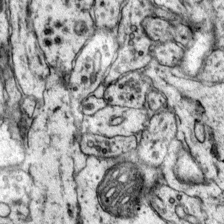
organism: Mouse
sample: Primary visual cortex